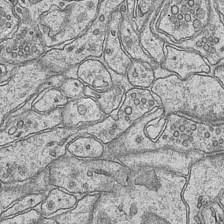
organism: Mouse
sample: CA1 Hippocampus